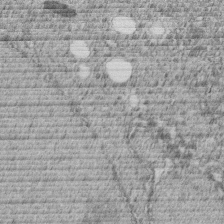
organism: C. elegans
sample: C. elegans embryo early stage